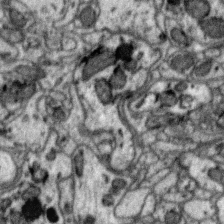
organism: Zebra finch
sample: Brain